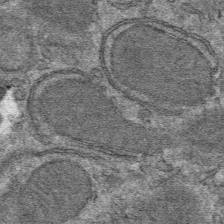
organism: Mouse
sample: Mouse hepatocytes